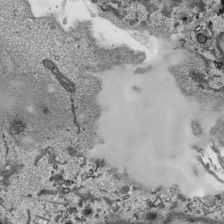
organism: Human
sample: Mitochondria in HCT116 cells